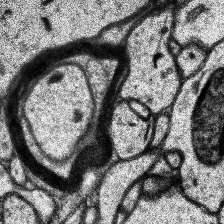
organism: Human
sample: Temporal Lobe